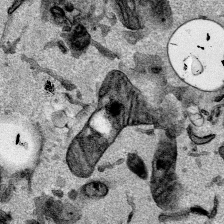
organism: Mouse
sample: Cancer cell death in ED-1 cells